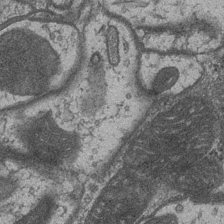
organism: Drosophila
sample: Optic medulla